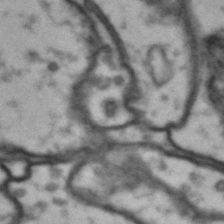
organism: Drosophila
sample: Brain